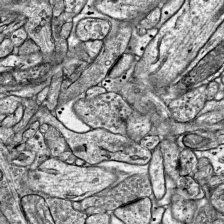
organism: Mouse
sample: Visual Cortex